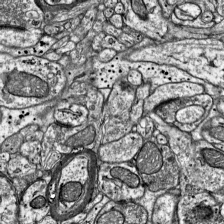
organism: Mouse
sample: Visual Cortex